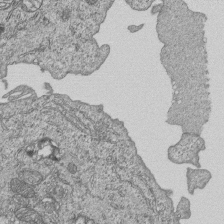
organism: Human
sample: MDA-MB-231 cells